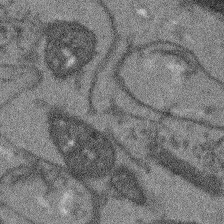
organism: Arabidopsis thaliana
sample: Root tip